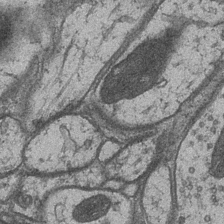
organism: Drosophila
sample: Optic medulla